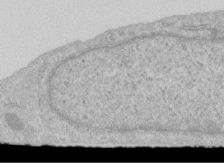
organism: Human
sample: Centriole in RPE cells